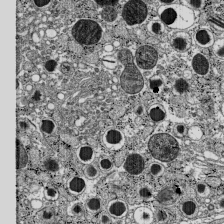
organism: C57BL Mouse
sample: Pancreatic islet